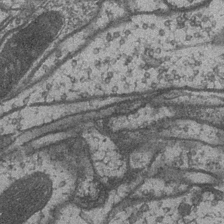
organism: Drosophila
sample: Optic medulla